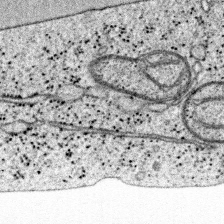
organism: Human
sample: HeLa cells